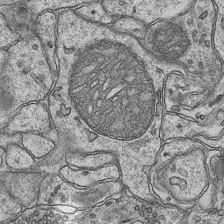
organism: Mouse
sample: CA1 Hippocampus